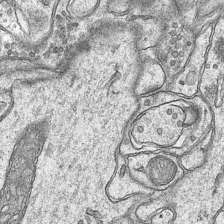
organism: Mouse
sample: CA1 Hippocampus